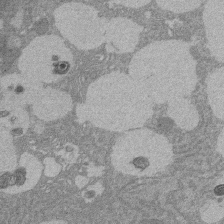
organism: Rat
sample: Salivary granule